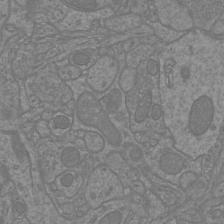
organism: Mouse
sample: Cortical neurons